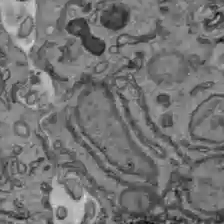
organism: C57BL Mouse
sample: Liver